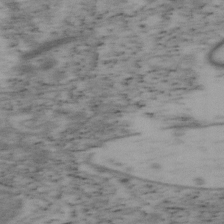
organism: Mouse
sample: OT-I killer T cells with ID8 ovarian cancer cells